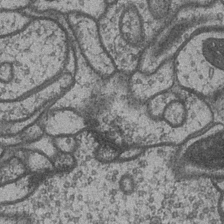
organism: Drosophila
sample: Optic medulla